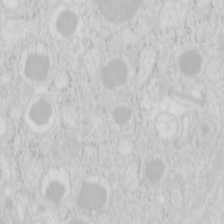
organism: Mouse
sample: Pancreas